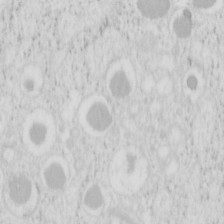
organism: Mouse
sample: Pancreas